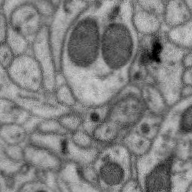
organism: Zebra finch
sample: Brain